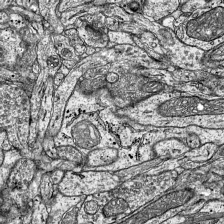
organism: Mouse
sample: Visual Cortex